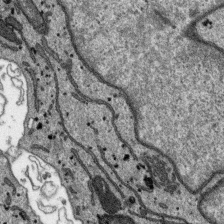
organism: Human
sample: Lung epithelial cells, uninfected (mock) control